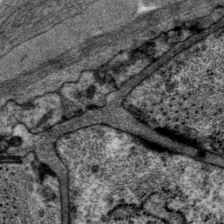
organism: P. pacificus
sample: Pharynx